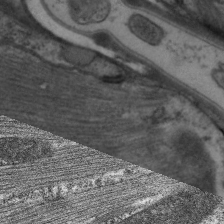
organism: C. elegans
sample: Pharynx